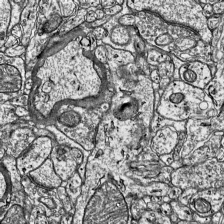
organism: Mouse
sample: Visual Cortex